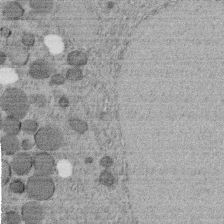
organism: C. elegans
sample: C. elegans embryo early stage